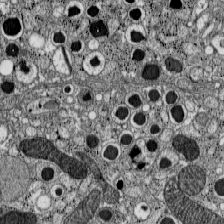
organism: C57BL Mouse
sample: Pancreatic islet